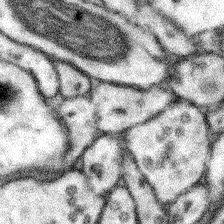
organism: Mouse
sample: Somatosensory cortex neuropil